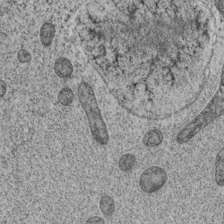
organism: C. elegans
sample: C. elegans oocyte; sperm cells